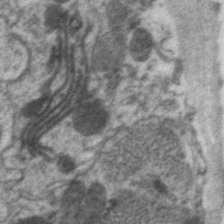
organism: C. elegans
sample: Pharynx